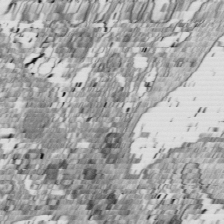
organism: Drosophila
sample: Cell division; meiosis; drosophila spermatocytes